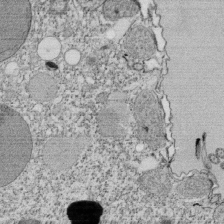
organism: Tetrahymena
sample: Cilia in tetrahymena